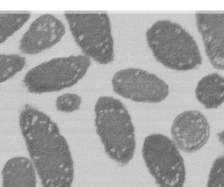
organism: E. coli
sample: Bacterial nucleoid